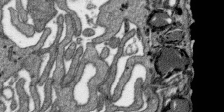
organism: Human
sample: Lung epithelial cells, uninfected (mock) control